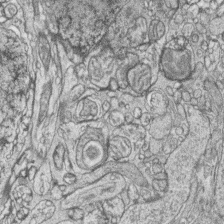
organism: Zebrafish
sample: synaptic ribbons in rod cells and cone cells